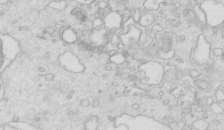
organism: Mouse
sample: Multiciliated cells